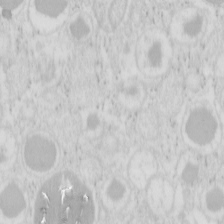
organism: Mouse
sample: Pancreas